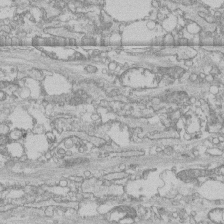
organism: Human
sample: CRL-1474